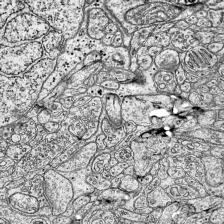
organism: Mouse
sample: Visual Cortex